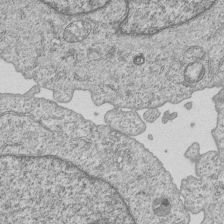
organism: Human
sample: MDA-MB-231 cells